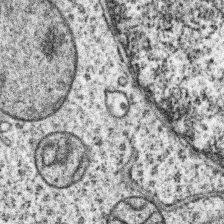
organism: Human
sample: HeLa cells